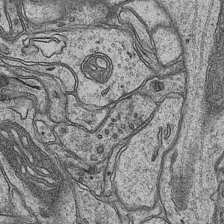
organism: Mouse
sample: CA1 Hippocampus